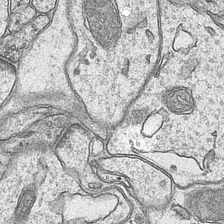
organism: Mouse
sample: CA1 Hippocampus